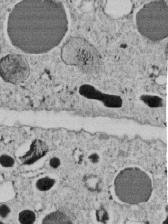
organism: C. elegans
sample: C. elegans embryo early stage